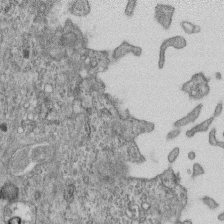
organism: Mouse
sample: Centriole in ependymal cells